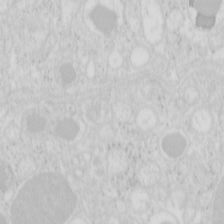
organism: Mouse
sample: Pancreas